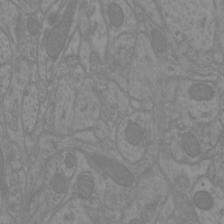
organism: Mouse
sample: Cortical neurons